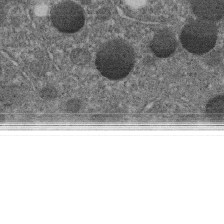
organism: C. elegans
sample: C. elegans embryo early stage